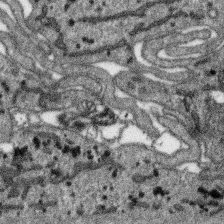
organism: Human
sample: Lung epithelial cells infected with SARS-CoV-2